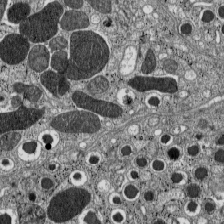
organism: C57BL Mouse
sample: Pancreatic islet